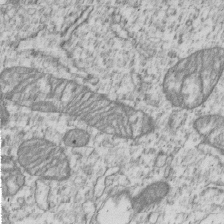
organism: Human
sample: MDA-MB-231 cells